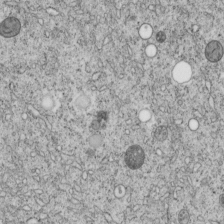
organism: C. elegans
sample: C. elegans embryo early stage